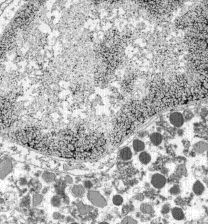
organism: C57BL Mouse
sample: Pancreatic islet